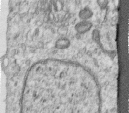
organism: Human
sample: Centriole in RPE cells